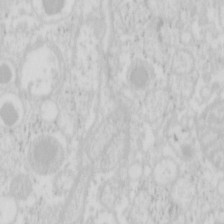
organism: Mouse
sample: Pancreas